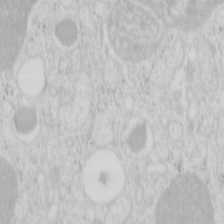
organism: Mouse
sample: Pancreas